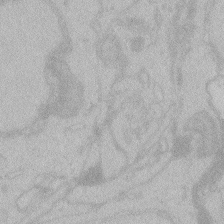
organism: Zebrafish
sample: Macrophage infected with Toxoplasma gondii